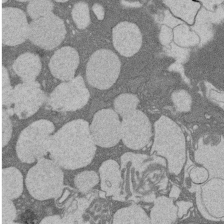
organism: Rat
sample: Salivary granule